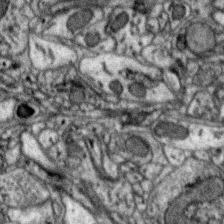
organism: Zebra finch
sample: Brain